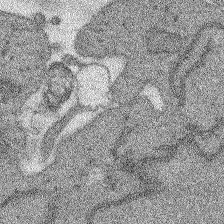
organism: Human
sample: HeLa cells